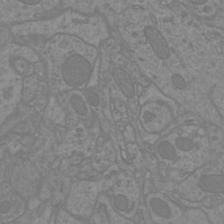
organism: Mouse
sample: Cortical neurons